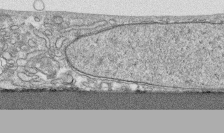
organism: Human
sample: CRL-1474